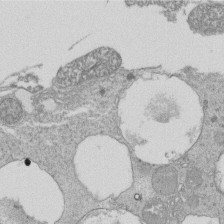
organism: Tetrahymena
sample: Cilia in tetrahymena